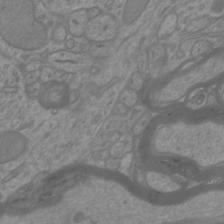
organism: Mouse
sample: Cortical neurons